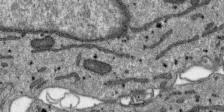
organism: Human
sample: Lung epithelial cells, uninfected (mock) control